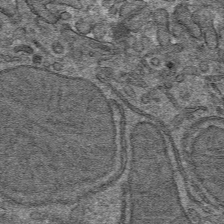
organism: Mouse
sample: Mouse hepatocytes